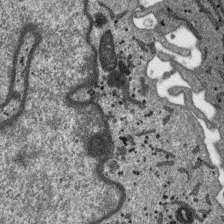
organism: Human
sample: Lung epithelial cells infected with SARS-CoV-2